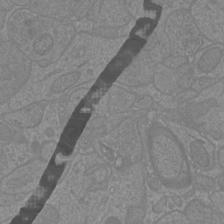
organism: Mouse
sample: Cortical neurons